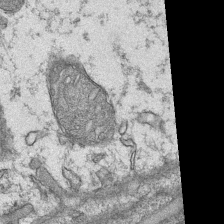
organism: Mouse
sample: CA1 Hippocampus